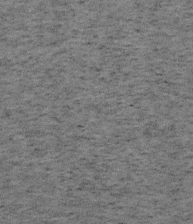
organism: Mouse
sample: OT-I killer T cells with ID8 ovarian cancer cells